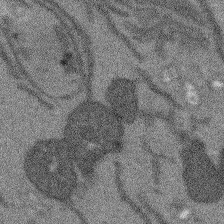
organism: Arabidopsis thaliana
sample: Root tip